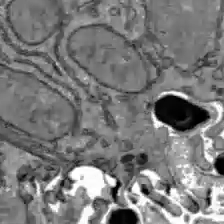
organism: C57BL Mouse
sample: Liver